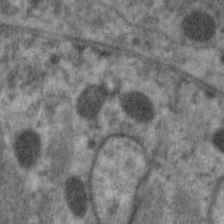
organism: C. elegans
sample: Pharynx